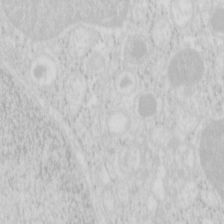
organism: Mouse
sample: Pancreas